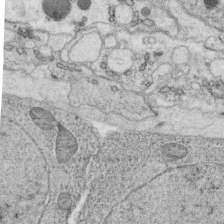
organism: C. elegans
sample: C. elegans oocyte; sperm cells